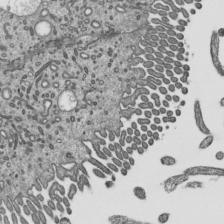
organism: Mouse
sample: Mouse epididymis efferent ductule cilia